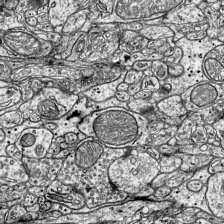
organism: Mouse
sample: Visual Cortex